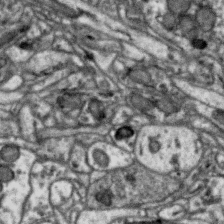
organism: Zebra finch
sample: Brain